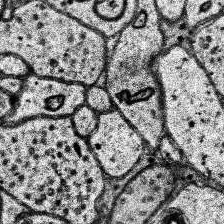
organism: Human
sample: Temporal Lobe